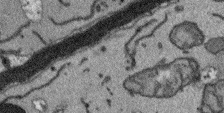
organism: Arabidopsis thaliana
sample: Root tip